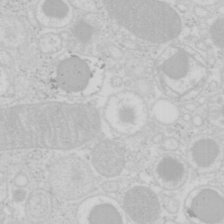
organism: Mouse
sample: Pancreas